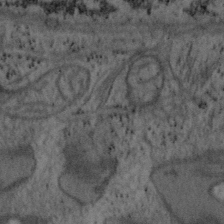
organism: Human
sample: HeLa cells